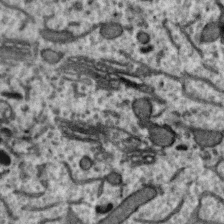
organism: Zebra finch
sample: Brain